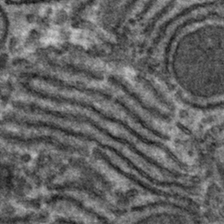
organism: Mouse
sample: Mouse hepatocytes